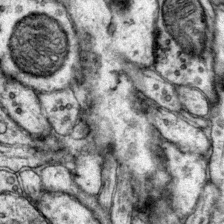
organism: Mouse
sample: Primary visual cortex